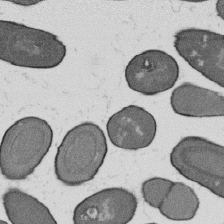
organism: B. subtilis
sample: Bacterial spore